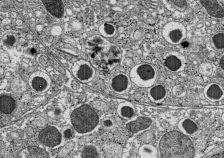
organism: C57BL Mouse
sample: Pancreatic islet